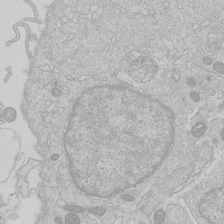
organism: Human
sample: Macrophage cells